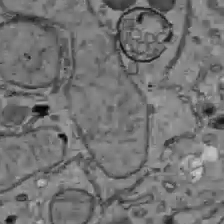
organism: C57BL Mouse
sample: Liver